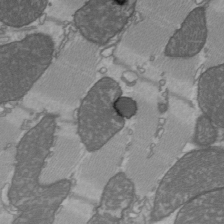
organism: C57BL Mouse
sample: Heart